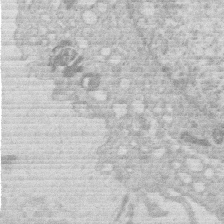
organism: Human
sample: Macrophage cells